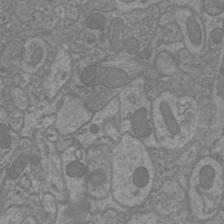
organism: Mouse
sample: Cortical neurons